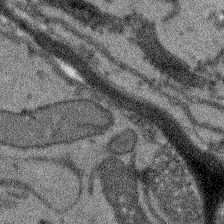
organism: Arabidopsis thaliana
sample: Root tip